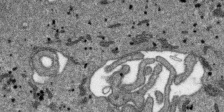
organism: Human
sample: Lung epithelial cells, uninfected (mock) control